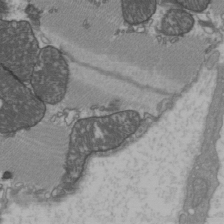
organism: C57BL Mouse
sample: Heart